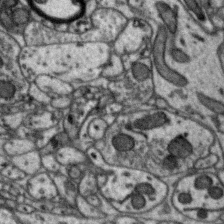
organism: Zebra finch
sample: Brain